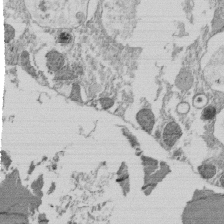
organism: Tetrahymena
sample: Cilia in tetrahymena